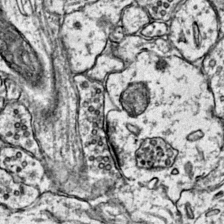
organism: Mouse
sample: Primary visual cortex